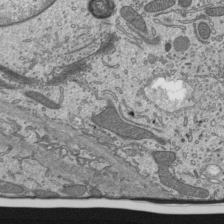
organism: Mouse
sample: Mouse epididymis efferent ductule cilia